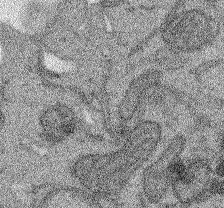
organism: Human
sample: HeLa cells